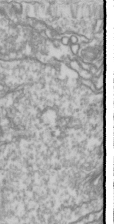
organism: Drosophila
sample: Cell division; meiosis; drosophila spermatocytes